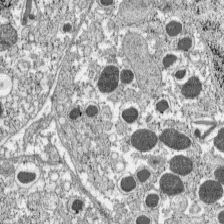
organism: C57BL Mouse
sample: Pancreatic islet